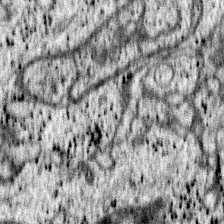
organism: Human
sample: HeLa cells